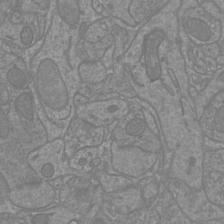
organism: Mouse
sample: Cortical neurons